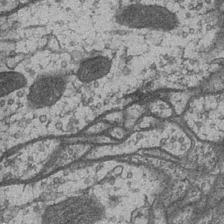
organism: Drosophila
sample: Optic medulla